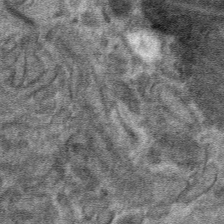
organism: Mouse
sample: Mouse hepatocytes